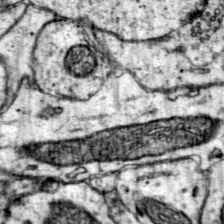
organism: Mouse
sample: Primary visual cortex